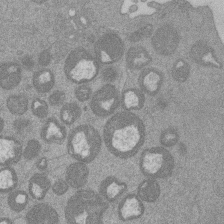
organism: Mouse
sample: Dividing mouse embryo 1 cell stage